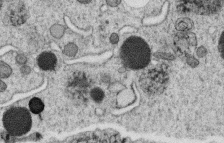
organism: C. elegans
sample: C. elegans oocyte; sperm cells